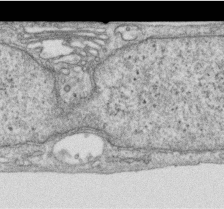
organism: Human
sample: Centriole in RPE cells